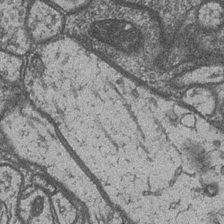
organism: Drosophila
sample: Optic medulla